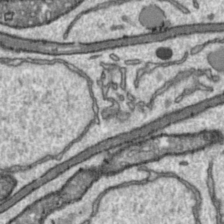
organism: Toxoplasma gondii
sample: Parasites in a vacuole inside a host cell